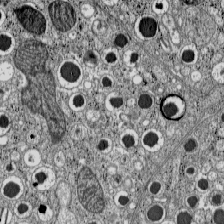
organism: C57BL Mouse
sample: Pancreatic islet